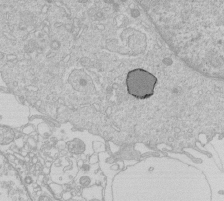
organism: Human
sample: Macrophage cells